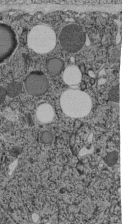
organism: C. elegans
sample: C. elegans pharynx